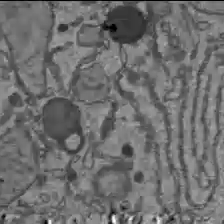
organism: C57BL Mouse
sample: Liver